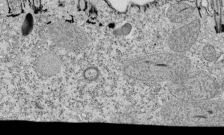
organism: Tetrahymena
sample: Cilia in tetrahymena